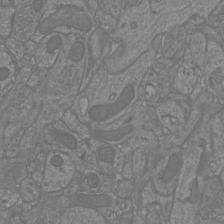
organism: Mouse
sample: Cortical neurons